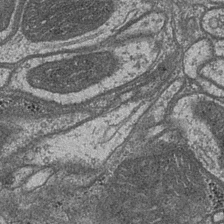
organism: Drosophila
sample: Optic medulla